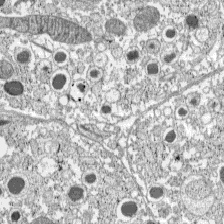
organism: C57BL Mouse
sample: Pancreatic islet